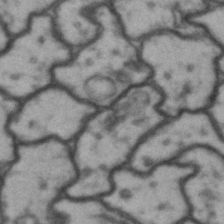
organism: Drosophila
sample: Brain